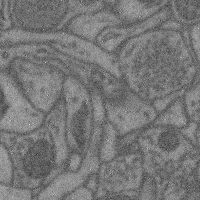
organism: Mouse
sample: Cerebral cortex